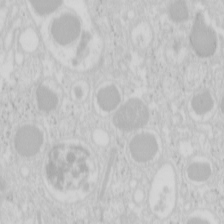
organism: Mouse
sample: Pancreas